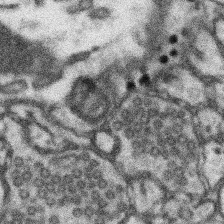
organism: Mouse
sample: Somatosensory cortex neuropil